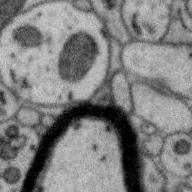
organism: Zebra finch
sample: Brain